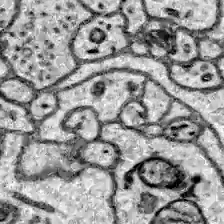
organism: Zebrafish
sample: Brain